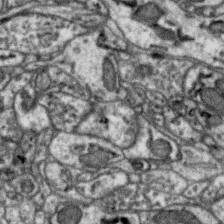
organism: Zebra finch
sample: Brain